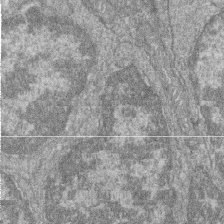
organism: Zebrafish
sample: Cilia; retinal pigment epithelium